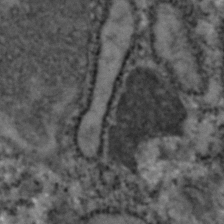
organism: Zebrafish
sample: Zebrafish embryo